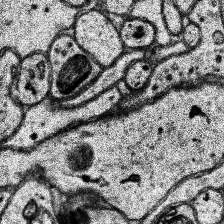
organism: Human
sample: Temporal Lobe